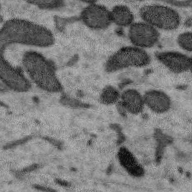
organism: Zebra finch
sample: Brain